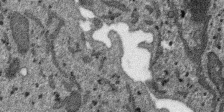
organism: Human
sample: Lung epithelial cells infected with SARS-CoV-2